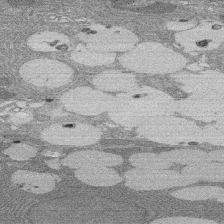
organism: Rat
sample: Salivary granule